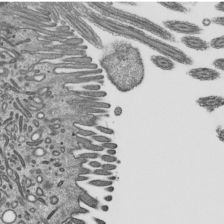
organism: Mouse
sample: Mouse epididymis efferent ductule cilia